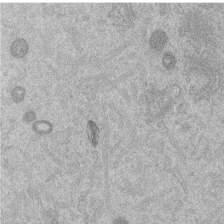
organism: Mouse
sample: Dividing mouse embryo 1 cell stage